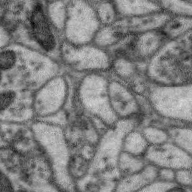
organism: Zebra finch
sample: Brain